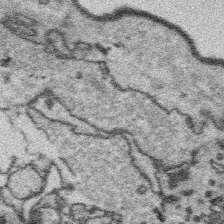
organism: Platynereis dumerilii